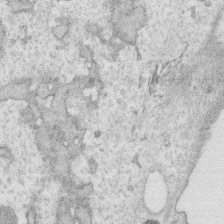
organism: Human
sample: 1205lu cells